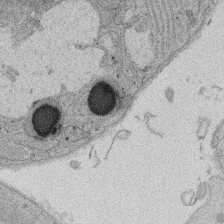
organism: Rat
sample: Salivary granule